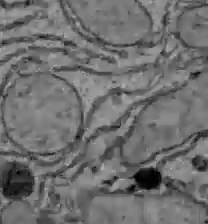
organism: C57BL Mouse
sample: Liver